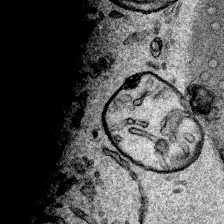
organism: Human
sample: Mitochondria in HCT116 cells